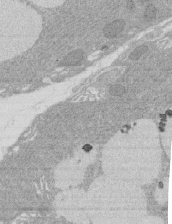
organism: Rat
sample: Salivary granule